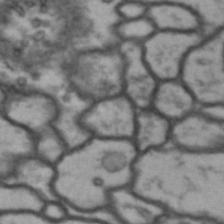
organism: Drosophila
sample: Brain